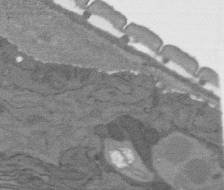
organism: C. elegans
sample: AFD neurons C. elegans